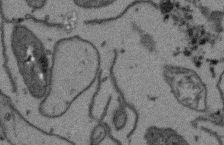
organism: Arabidopsis thaliana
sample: Root tip